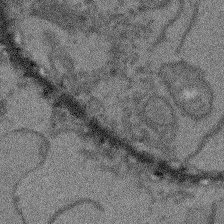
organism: Arabidopsis thaliana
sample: Root tip